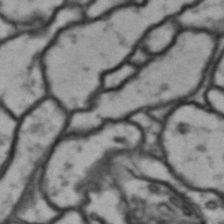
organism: Drosophila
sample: Brain